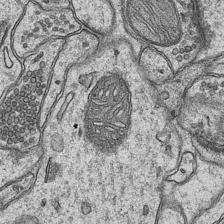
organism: Mouse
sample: CA1 Hippocampus